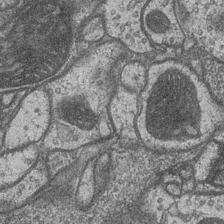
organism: Drosophila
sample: Optic medulla